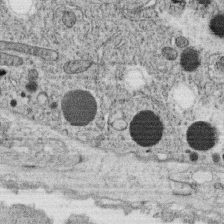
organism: C. elegans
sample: C. elegans oocyte; sperm cells